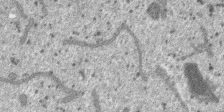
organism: Human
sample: Lung epithelial cells infected with SARS-CoV-2